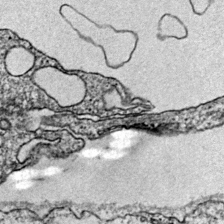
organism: Mouse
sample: Primary visual cortex